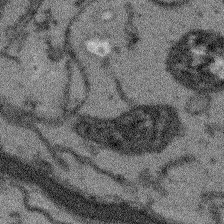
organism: Arabidopsis thaliana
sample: Root tip